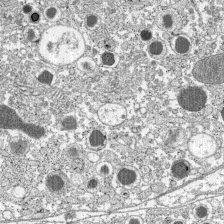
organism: C57BL Mouse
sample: Pancreatic islet